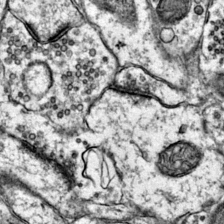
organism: Mouse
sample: Primary visual cortex